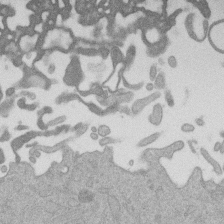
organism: Mouse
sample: Dividing mouse embryo 1 cell stage